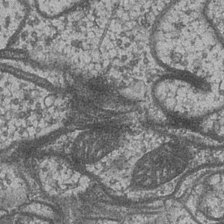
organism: Drosophila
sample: Optic medulla